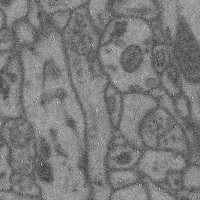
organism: Mouse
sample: Cerebral cortex